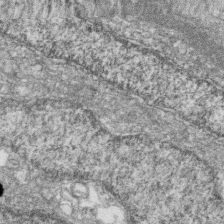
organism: Zebrafish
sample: Cilia; retinal pigment epithelium